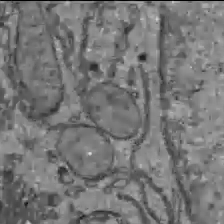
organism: C57BL Mouse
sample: Liver